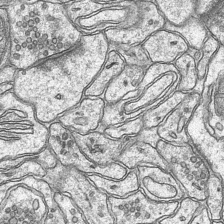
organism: Mouse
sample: CA1 Hippocampus